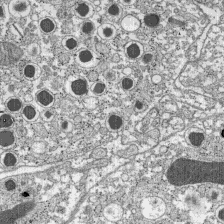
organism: C57BL Mouse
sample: Pancreatic islet